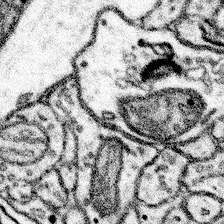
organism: Mouse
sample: Somatosensory cortex neuropil